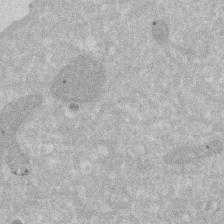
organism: Human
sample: HIV infected U937 cells